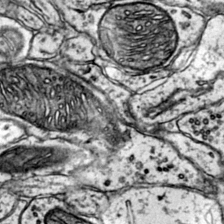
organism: Mouse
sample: Primary visual cortex